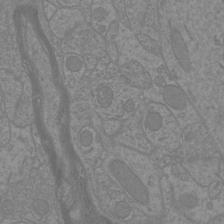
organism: Mouse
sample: Cortical neurons